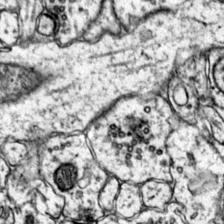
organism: Mouse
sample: Primary visual cortex